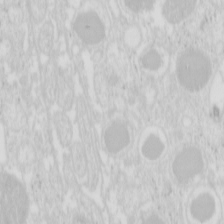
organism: Mouse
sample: Pancreas